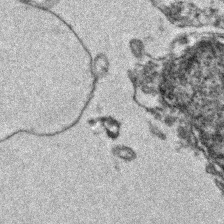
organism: Zebrafish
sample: Zebrafish embryo